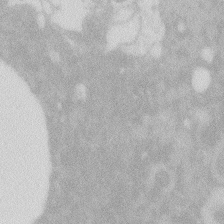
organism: Zebrafish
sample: Macrophage